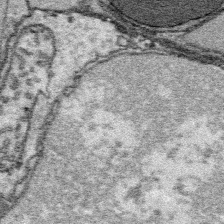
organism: Platynereis dumerilii